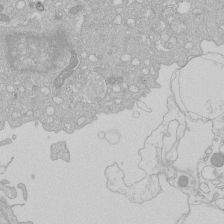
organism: Human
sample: Macrophage cells